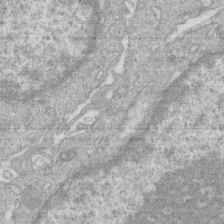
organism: Human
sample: Macrophage cells